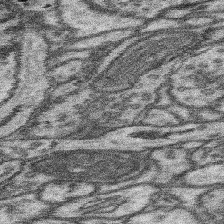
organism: Mouse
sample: Somatosensory cortex neuropil